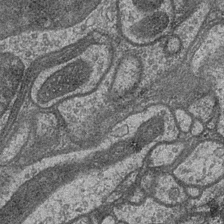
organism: Drosophila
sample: Optic medulla